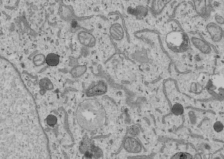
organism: Human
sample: Mitochondria in U2OS cells